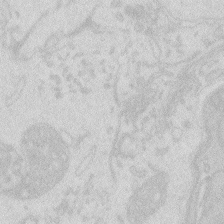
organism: Zebrafish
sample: Macrophage